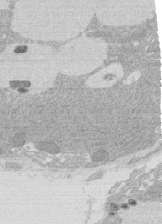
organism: Rat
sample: Salivary granule